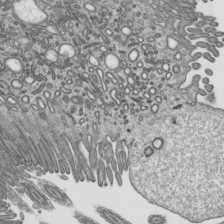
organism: Mouse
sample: Mouse epididymis efferent ductule cilia